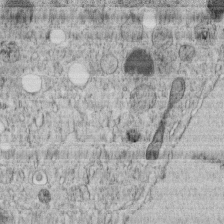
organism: C. elegans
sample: C. elegans embryo early stage